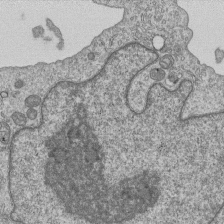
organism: Human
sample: MDA-MB-231 cells